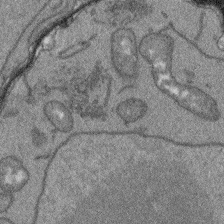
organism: Arabidopsis thaliana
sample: Root tip